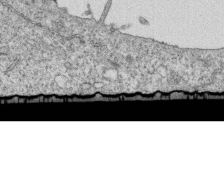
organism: Human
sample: HeLa cell HIV synapse